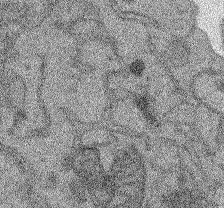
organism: Human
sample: HeLa cells